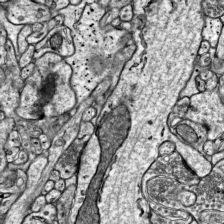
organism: Mouse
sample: Visual Cortex